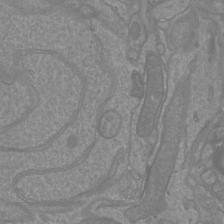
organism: Mouse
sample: Cortical neurons